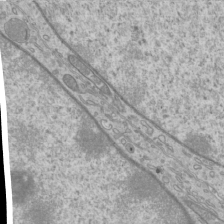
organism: Mouse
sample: Cilia; mouse epididymis